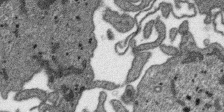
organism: Human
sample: Lung epithelial cells infected with SARS-CoV-2